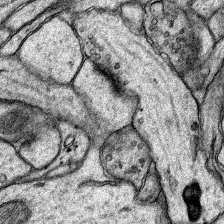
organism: Rat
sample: Hippocampus